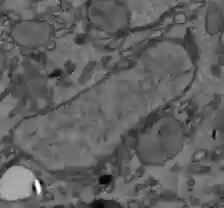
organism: C57BL Mouse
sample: Liver